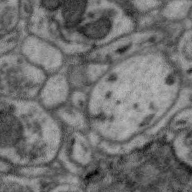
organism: Zebra finch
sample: Brain